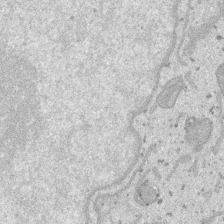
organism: Human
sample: Lung epithelial cells infected with SARS-CoV-2